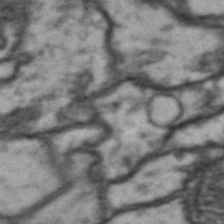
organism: Drosophila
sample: Brain